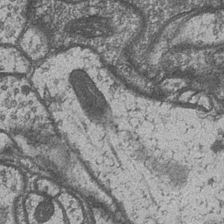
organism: Drosophila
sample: Optic medulla